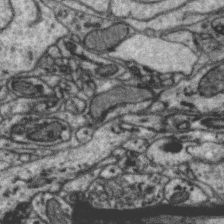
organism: Zebra finch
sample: Brain